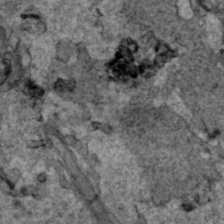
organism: Human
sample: Mitochondria in HCT116 cells